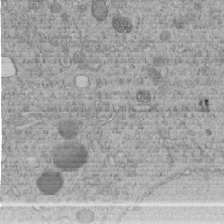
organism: C. elegans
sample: C. elegans embryo early stage